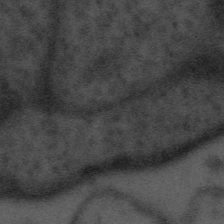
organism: Tuwongella immobilis